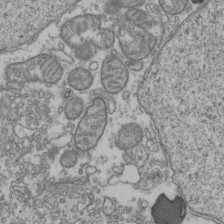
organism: Human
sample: Activated Jurkat CD4+ T cells